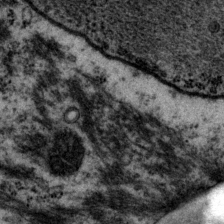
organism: P. pacificus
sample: Pharynx